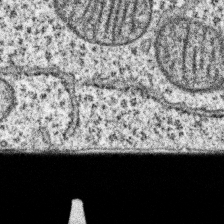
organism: Human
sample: HeLa cells